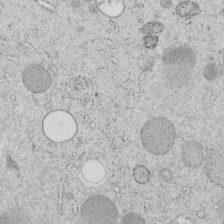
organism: C. elegans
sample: C. elegans embryo early stage